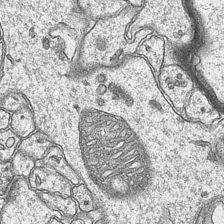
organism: Mouse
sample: CA1 Hippocampus